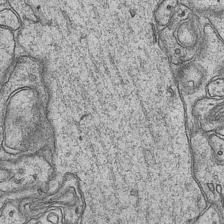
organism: Mouse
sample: CA1 Hippocampus